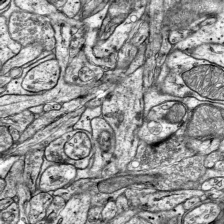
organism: Mouse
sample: Visual Cortex